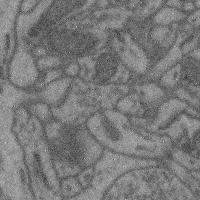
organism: Mouse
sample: Cerebral cortex